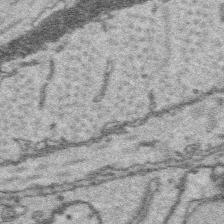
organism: Platynereis dumerilii